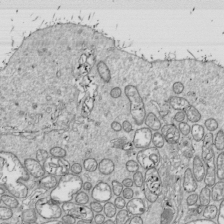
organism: Drosophila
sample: Cell division; meiosis; drosophila spermatocytes